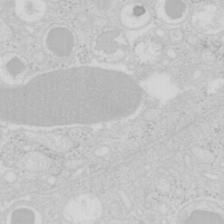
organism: Mouse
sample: Pancreas